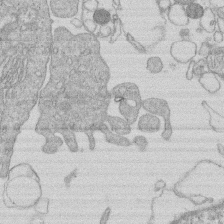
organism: Human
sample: Macrophage cells